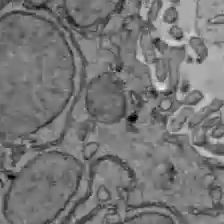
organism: C57BL Mouse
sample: Liver